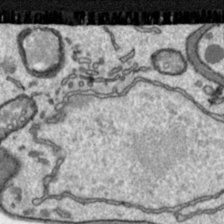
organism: Toxoplasma gondii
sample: Parasites in a vacuole inside a host cell